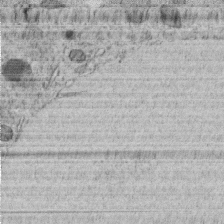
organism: C. elegans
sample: C. elegans embryo early stage